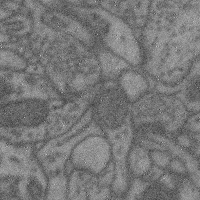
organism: Mouse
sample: Cerebral cortex